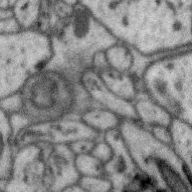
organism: Zebra finch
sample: Brain